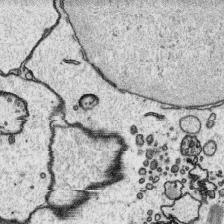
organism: Platynereis dumerilii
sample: Parapodia